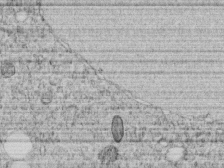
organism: C. elegans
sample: C. elegans embryo early stage